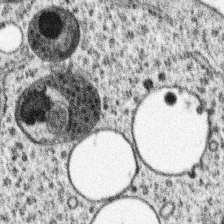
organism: Human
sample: HeLa cells